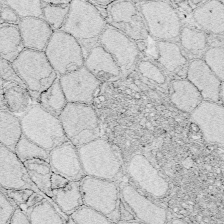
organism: Zebrafish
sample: Whole-Brain